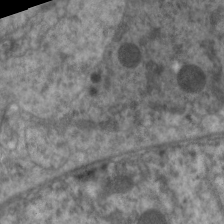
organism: C. elegans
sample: Pharynx